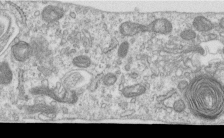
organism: Human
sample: Centriole in RPE cells